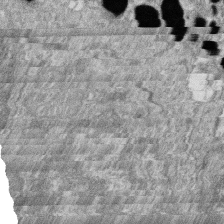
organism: Zebrafish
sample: Cilia; retinal pigment epithelium